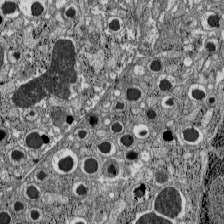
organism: C57BL Mouse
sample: Pancreatic islet